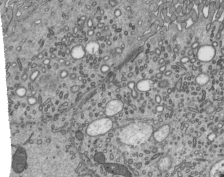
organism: Mouse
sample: Mouse epididymis efferent ductule cilia